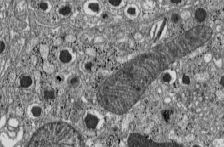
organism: C57BL Mouse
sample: Pancreatic islet